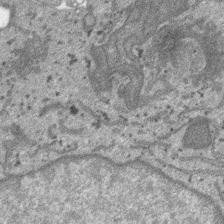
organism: Human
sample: Lung epithelial cells infected with SARS-CoV-2